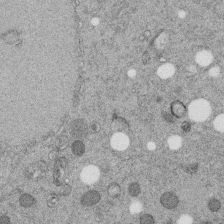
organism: C. elegans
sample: C. elegans embryo early stage